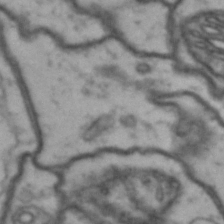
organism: Drosophila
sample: Brain